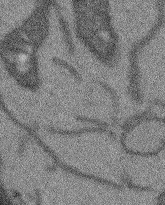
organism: Arabidopsis thaliana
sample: Root tip